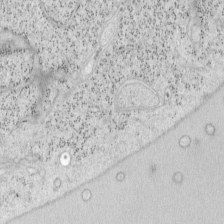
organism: Mouse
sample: OT-I killer T cells with ID8 ovarian cancer cells